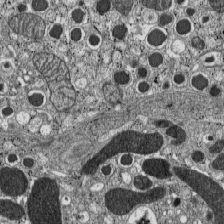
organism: C57BL Mouse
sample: Pancreatic islet